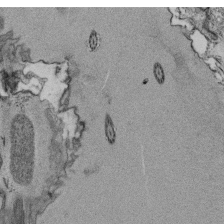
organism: Tetrahymena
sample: Cilia in tetrahymena